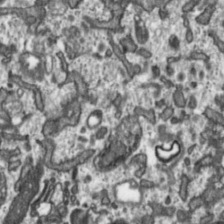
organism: Toxoplasma gondii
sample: Parasites in a vacuole inside a host cell